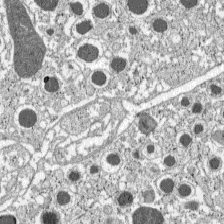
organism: C57BL Mouse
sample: Pancreatic islet